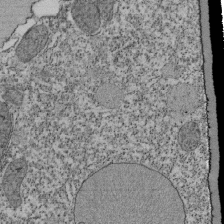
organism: Tetrahymena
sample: Cilia in tetrahymena